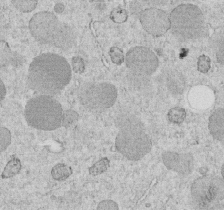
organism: C. elegans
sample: C. elegans embryo early stage